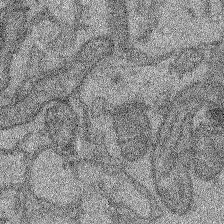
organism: Human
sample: HeLa cells